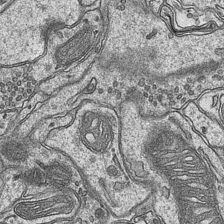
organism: Mouse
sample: CA1 Hippocampus